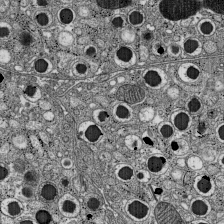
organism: C57BL Mouse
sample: Pancreatic islet